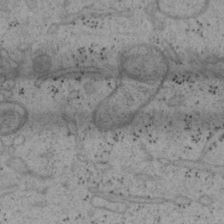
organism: Human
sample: HeLa cells